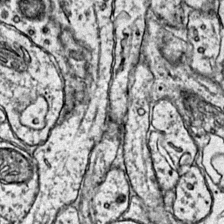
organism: Mouse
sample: Primary visual cortex